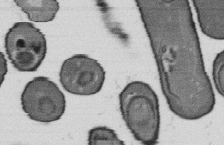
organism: B. subtilis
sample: Bacterial spore